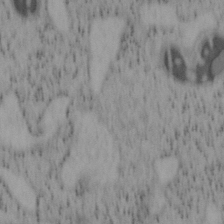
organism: Mouse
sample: OT-I killer T cells with ID8 ovarian cancer cells